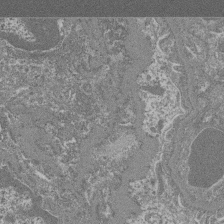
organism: Mouse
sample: Glomerulus